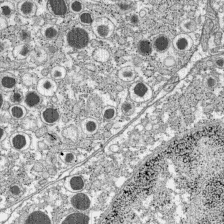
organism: C57BL Mouse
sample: Pancreatic islet